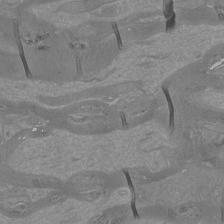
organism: Mouse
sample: Cortical neurons